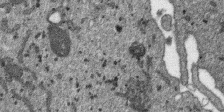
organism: Human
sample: Lung epithelial cells infected with SARS-CoV-2